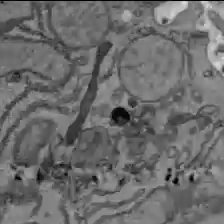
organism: C57BL Mouse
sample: Liver